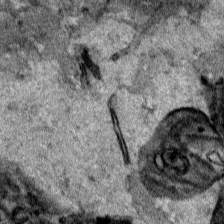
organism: Human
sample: Mitochondria in HCT116 cells